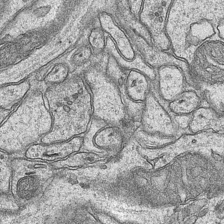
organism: Mouse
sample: CA1 Hippocampus